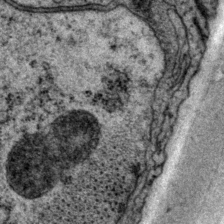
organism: P. pacificus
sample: Pharynx